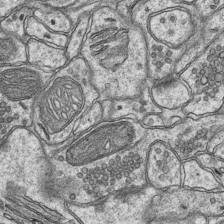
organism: Mouse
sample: CA1 Hippocampus